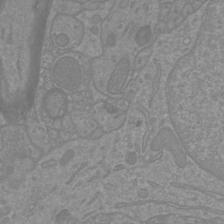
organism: Mouse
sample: Cortical neurons